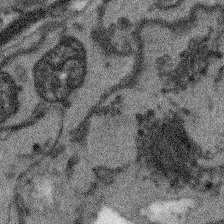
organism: Arabidopsis thaliana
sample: Root tip